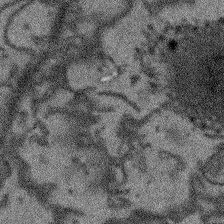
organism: Arabidopsis thaliana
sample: Root tip